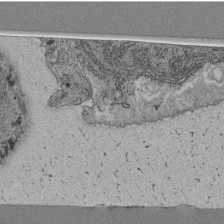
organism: C. elegans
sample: C. elegans pharynx